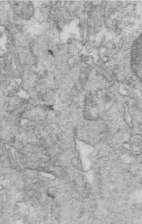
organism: Mouse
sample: Multiciliated cells